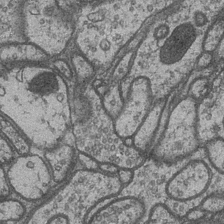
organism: Drosophila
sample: Optic medulla